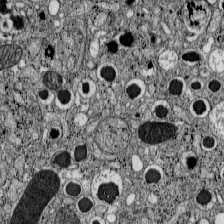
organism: C57BL Mouse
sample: Pancreatic islet